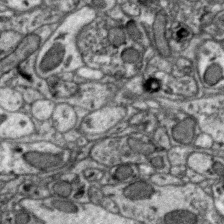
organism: Zebra finch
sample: Brain